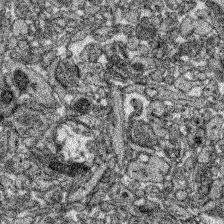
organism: Zebrafish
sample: Larval olfactory bulb